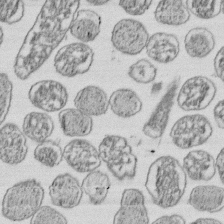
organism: E. coli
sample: Bacterial nucleoid